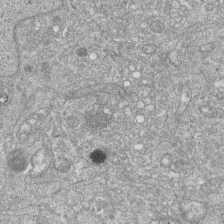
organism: Human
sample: HeLa cell HIV synapse